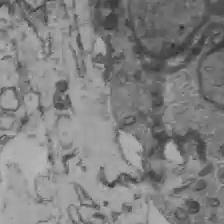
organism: C57BL Mouse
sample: Liver